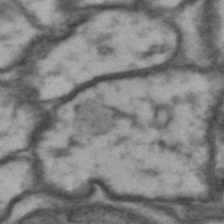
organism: Drosophila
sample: Brain